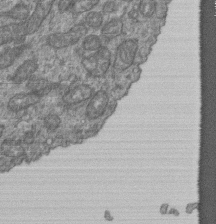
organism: Human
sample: Retinal organoid Rod and Cone cells